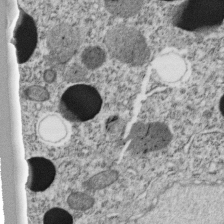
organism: C. elegans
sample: C. elegans embryo early stage